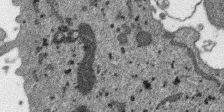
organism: Human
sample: Lung epithelial cells infected with SARS-CoV-2